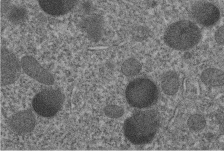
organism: C. elegans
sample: C. elegans embryo early stage